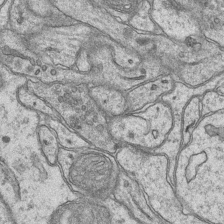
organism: Mouse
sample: CA1 Hippocampus